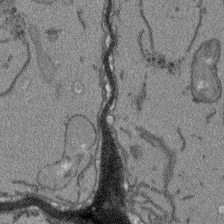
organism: Arabidopsis thaliana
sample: Root tip